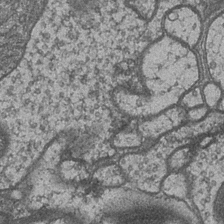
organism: Drosophila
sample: Optic medulla